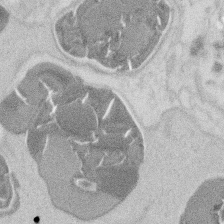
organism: Mouse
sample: T cell stromal cell synapse